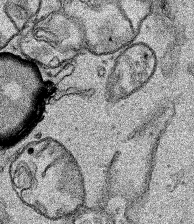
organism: Human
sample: Mitochondria in HCT116 cells